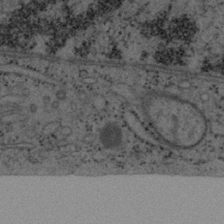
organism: Human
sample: HeLa cells